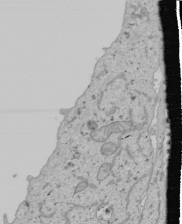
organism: Human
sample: Mitochondria in U2OS cells